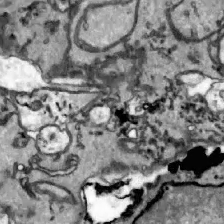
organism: Zebrafish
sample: Actinotrichia fibers